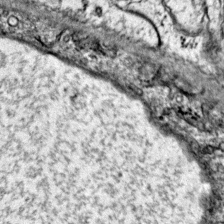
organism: Mouse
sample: Primary visual cortex